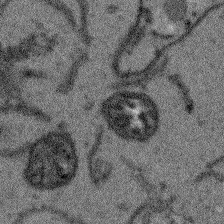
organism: Arabidopsis thaliana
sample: Root tip